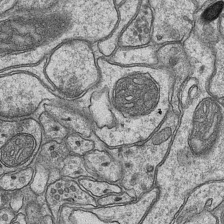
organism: Mouse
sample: CA1 Hippocampus